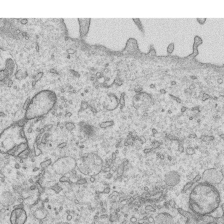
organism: Human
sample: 1205lu cells